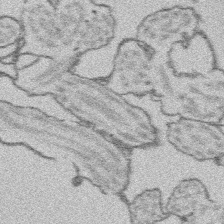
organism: Platynereis dumerilii